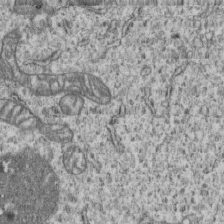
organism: Human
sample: MDA-MB-231 cells